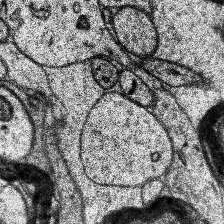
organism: Human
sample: Temporal Lobe